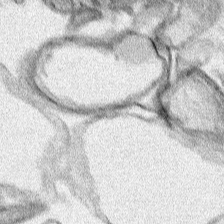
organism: Human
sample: Mitochondria in HCT116 cells